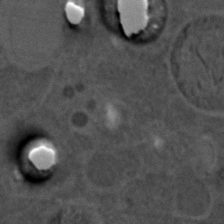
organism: C. elegans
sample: C. elegans embryo